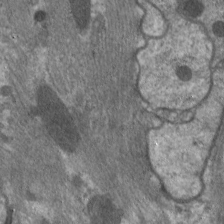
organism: C. elegans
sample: Pharynx